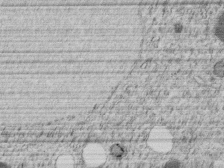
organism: C. elegans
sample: C. elegans embryo early stage